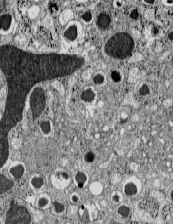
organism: C57BL Mouse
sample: Pancreatic islet